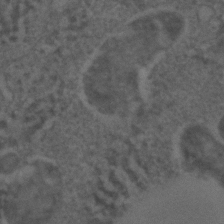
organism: C. elegans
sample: C. elegans embryo